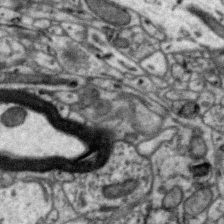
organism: Zebra finch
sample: Brain